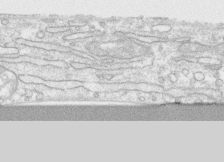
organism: Human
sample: CRL-1474